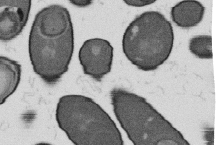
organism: B. subtilis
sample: Bacterial spore